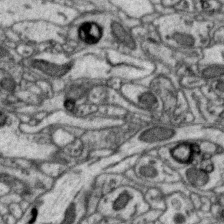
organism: Zebra finch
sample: Brain